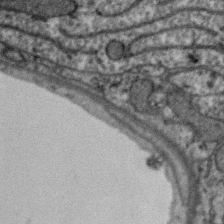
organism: Zebra finch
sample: Brain